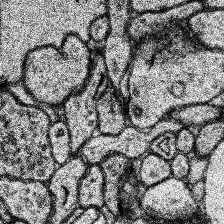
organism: Human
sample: Temporal Lobe